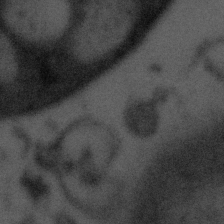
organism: Tuwongella immobilis